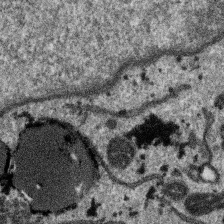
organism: Human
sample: Lung epithelial cells infected with SARS-CoV-2